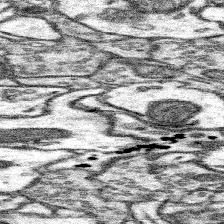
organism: Mouse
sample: Somatosensory cortex neuropil